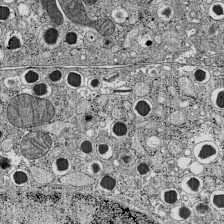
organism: C57BL Mouse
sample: Pancreatic islet